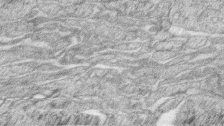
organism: Zebrafish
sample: synaptic ribbons in rod cells and cone cells